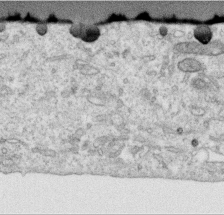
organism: Human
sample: Centriole in RPE cells